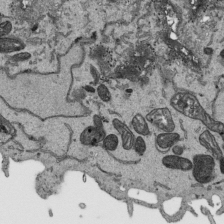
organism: Human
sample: Mitochondria in HCT116 cells